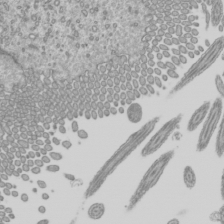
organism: Mouse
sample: Cilia; mouse epididymis